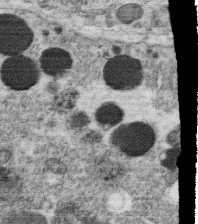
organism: C. elegans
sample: C. elegans oocyte; sperm cells